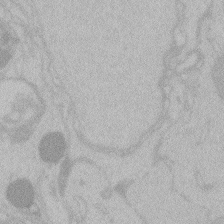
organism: Zebrafish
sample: Macrophage infected with Toxoplasma gondii